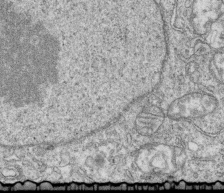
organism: Human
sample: HeLa cell HIV synapse